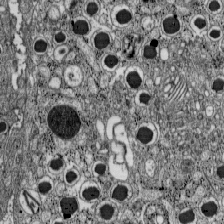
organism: C57BL Mouse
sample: Pancreatic islet